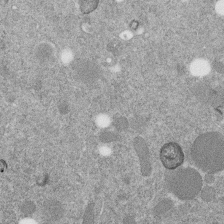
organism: C. elegans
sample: C. elegans embryo early stage